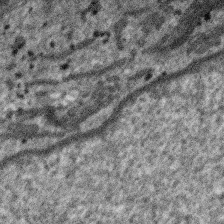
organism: Human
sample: Lung epithelial cells infected with SARS-CoV-2